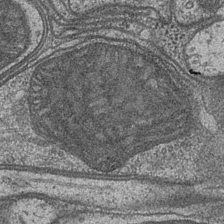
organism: Drosophila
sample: Optic medulla